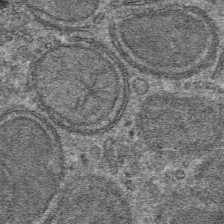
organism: Mouse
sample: Mouse hepatocytes